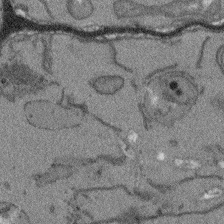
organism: Arabidopsis thaliana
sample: Root tip